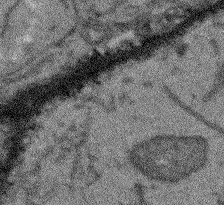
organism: Arabidopsis thaliana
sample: Root tip